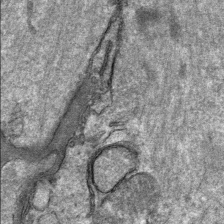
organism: Mouse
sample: Mouse Salivary gland